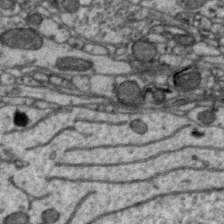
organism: Zebra finch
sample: Brain